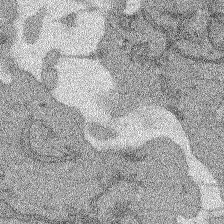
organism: Human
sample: HeLa cells